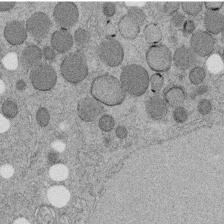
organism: C. elegans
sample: C. elegans embryo early stage